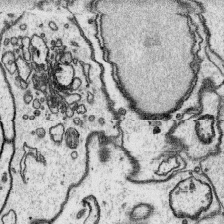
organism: Platynereis dumerilii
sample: Parapodia